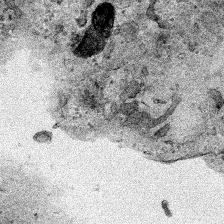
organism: Human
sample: Mitochondria in HCT116 cells